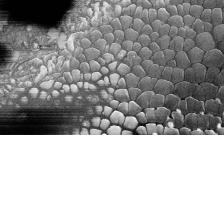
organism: Tetrahymena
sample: Cilia in tetrahymena